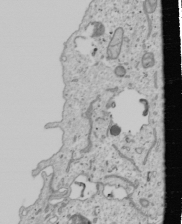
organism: Human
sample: Mitochondria in U2OS cells